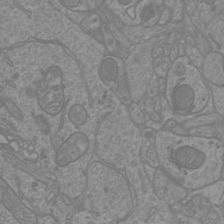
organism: Mouse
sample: Cortical neurons